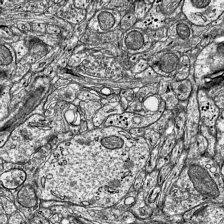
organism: Mouse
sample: Visual Cortex